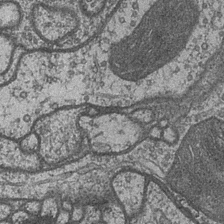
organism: Drosophila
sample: Optic medulla